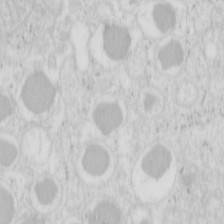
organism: Mouse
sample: Pancreas